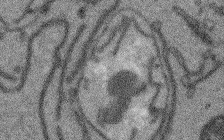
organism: Arabidopsis thaliana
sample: Root tip